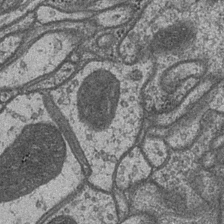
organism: Drosophila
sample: Optic medulla